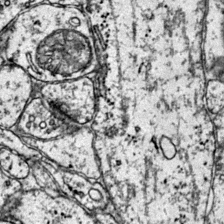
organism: Mouse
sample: Primary visual cortex